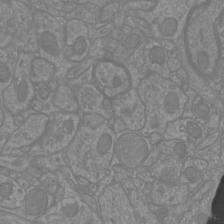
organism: Mouse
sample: Cortical neurons